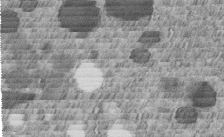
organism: C. elegans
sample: C. elegans embryo early stage